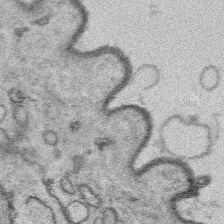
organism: Platynereis dumerilii